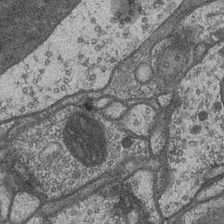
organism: Drosophila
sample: Optic medulla